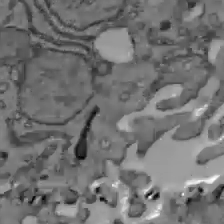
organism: C57BL Mouse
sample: Liver